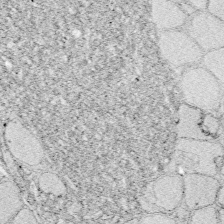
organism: Zebrafish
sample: Whole-Brain